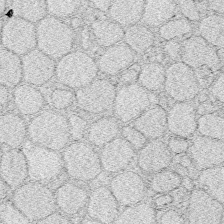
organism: Zebrafish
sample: Whole-Brain